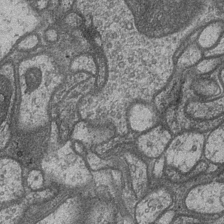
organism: Drosophila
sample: Optic medulla